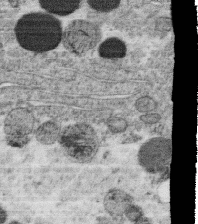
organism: C. elegans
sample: C. elegans oocyte; sperm cells